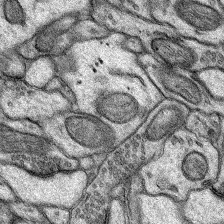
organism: Rat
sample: Hippocampus